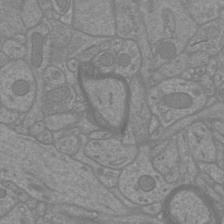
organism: Mouse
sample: Cortical neurons